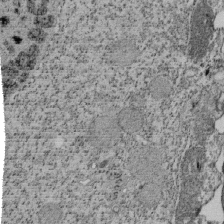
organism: Tetrahymena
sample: Cilia in tetrahymena